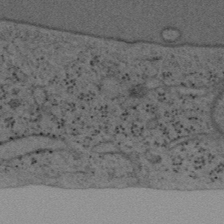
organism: Human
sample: HeLa cells